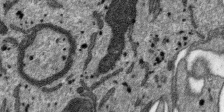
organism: Human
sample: Lung epithelial cells, uninfected (mock) control